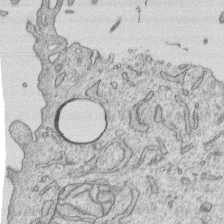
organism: Human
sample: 1205lu cells